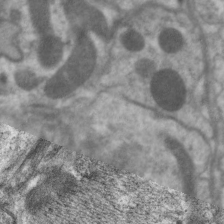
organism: C. elegans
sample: Pharynx